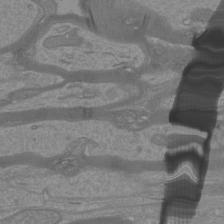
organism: Mouse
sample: Cortical neurons